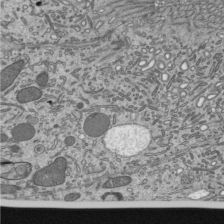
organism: Mouse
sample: Mouse epididymis efferent ductule cilia